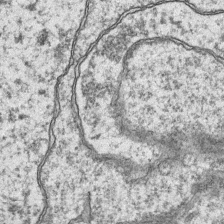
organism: Mouse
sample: CA1 Hippocampus